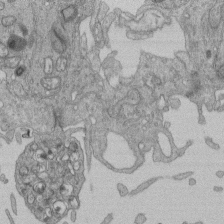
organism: Human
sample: Retinal organoid Rod and Cone cells